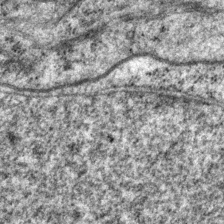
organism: P. pacificus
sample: Pharynx